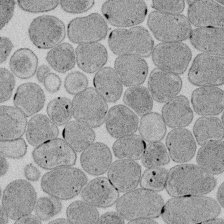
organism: E. coli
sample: Bacterial nucleoid